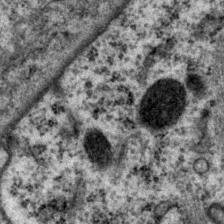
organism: P. pacificus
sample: Pharynx